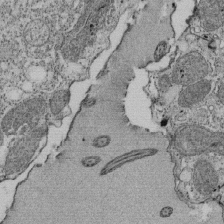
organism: Tetrahymena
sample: Cilia in tetrahymena